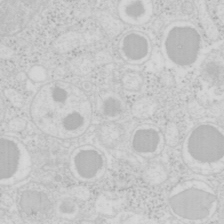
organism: Mouse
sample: Pancreas